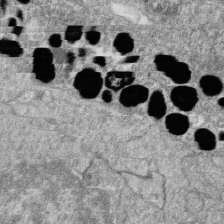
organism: Zebrafish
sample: Cilia; retinal pigment epithelium